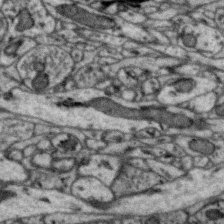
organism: Zebra finch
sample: Brain